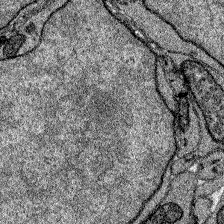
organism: Zebrafish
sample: Larval olfactory bulb